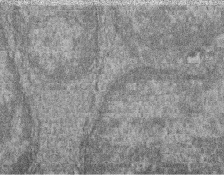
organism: Zebrafish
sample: Cilia; retinal pigment epithelium